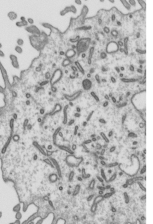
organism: Mouse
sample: Mouse epididymis efferent ductule cilia